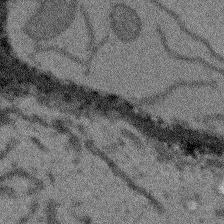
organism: Arabidopsis thaliana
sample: Root tip